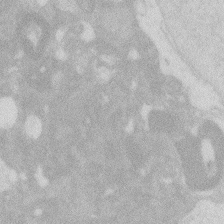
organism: Zebrafish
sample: Macrophage